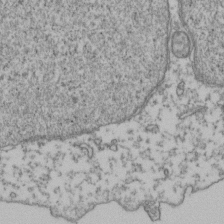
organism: Human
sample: Activated Jurkat CD4+ T cells